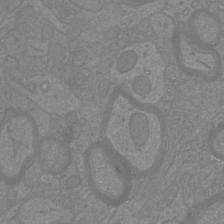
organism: Mouse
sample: Cortical neurons